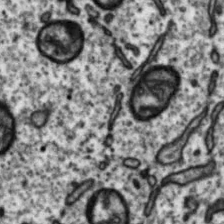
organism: Human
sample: HeLa cells